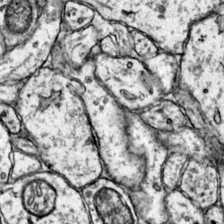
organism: Mouse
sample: Primary visual cortex